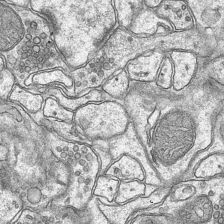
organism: Mouse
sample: CA1 Hippocampus